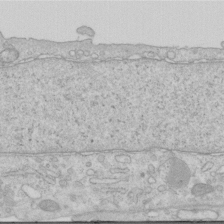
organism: Human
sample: Centriole in RPE cells